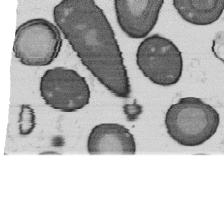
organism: B. subtilis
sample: Bacterial spore